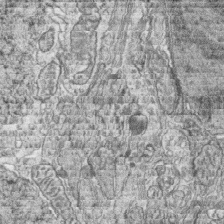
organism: Zebrafish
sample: synaptic ribbons in rod cells and cone cells